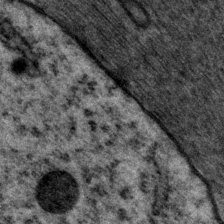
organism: P. pacificus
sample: Pharynx